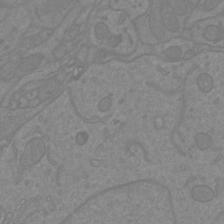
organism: Mouse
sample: Cortical neurons